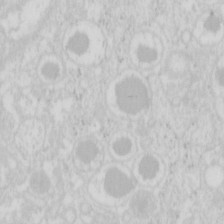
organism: Mouse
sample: Pancreas